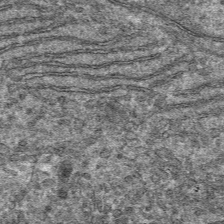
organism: Mouse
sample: Mouse hepatocytes